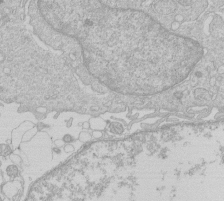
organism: Human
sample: Macrophage cells